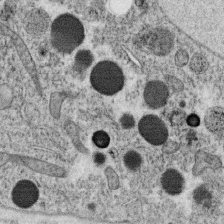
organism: C. elegans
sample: C. elegans oocyte; sperm cells